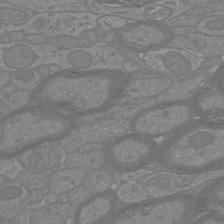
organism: Mouse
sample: Cortical neurons